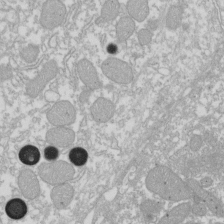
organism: Xenopus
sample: Cilia; centrioles in frog embryo cells